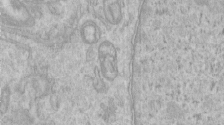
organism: Human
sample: Centriole in RPE cells